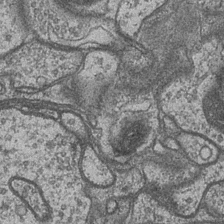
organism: Drosophila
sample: Optic medulla